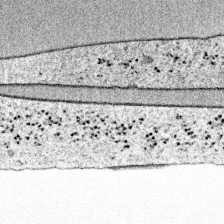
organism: Human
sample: HeLa cells